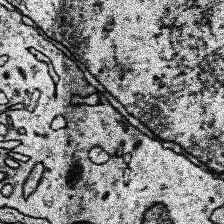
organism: Human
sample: Temporal Lobe